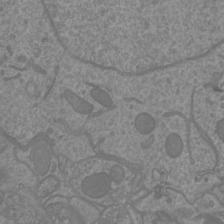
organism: Mouse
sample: Cortical neurons